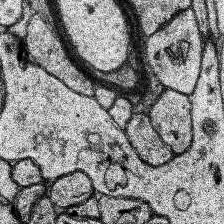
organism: Human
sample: Temporal Lobe